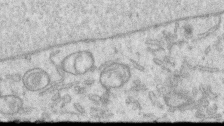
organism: Human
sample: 1205lu cells